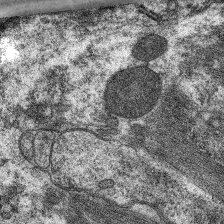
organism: C. elegans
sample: Pharynx